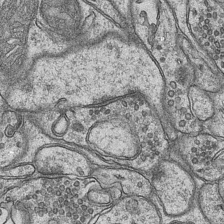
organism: Mouse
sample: CA1 Hippocampus